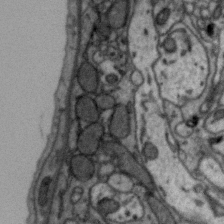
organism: Zebra finch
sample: Brain